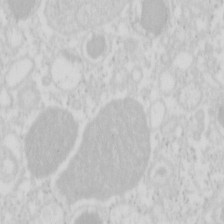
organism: Mouse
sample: Pancreas